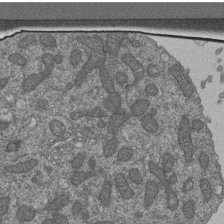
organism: Human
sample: Retinal organoid Rod and Cone cells